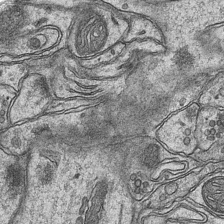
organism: Mouse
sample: CA1 Hippocampus